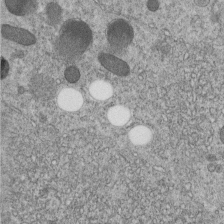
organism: C. elegans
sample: C. elegans embryo early stage